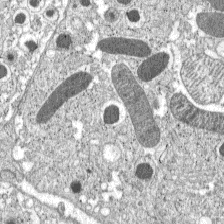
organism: C57BL Mouse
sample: Pancreatic islet